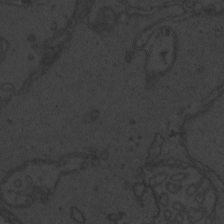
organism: Zebrafish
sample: Macrophage infected with Toxoplasma gondii